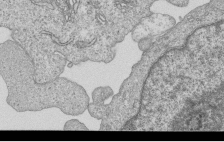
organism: Human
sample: MDA-MB-231 cells